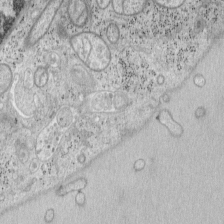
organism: Mouse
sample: OT-I killer T cells with ID8 ovarian cancer cells